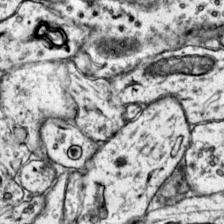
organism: Mouse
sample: Primary visual cortex